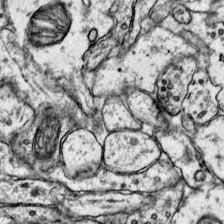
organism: Mouse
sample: Primary visual cortex